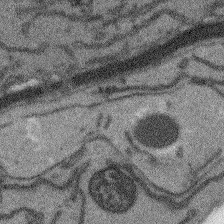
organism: Arabidopsis thaliana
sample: Root tip